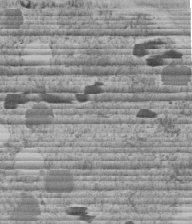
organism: C. elegans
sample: C. elegans embryo early stage